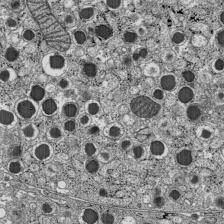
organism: C57BL Mouse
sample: Pancreatic islet